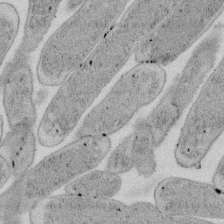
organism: E. coli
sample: Bacterial nucleoid